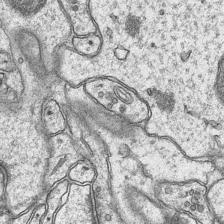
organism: Mouse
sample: CA1 Hippocampus